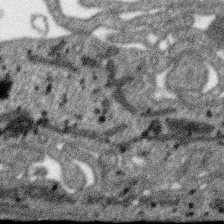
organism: Human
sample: Lung epithelial cells infected with SARS-CoV-2